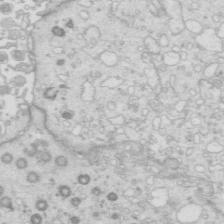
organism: Mouse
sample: Multiciliated cells